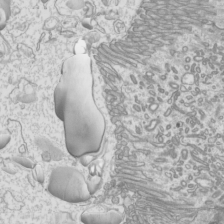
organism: Mouse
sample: Cilia; mouse epididymis